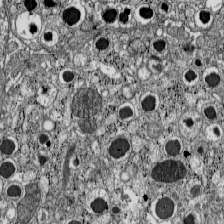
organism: C57BL Mouse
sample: Pancreatic islet